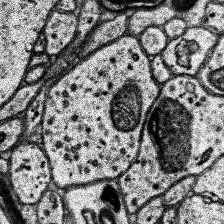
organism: Human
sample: Temporal Lobe